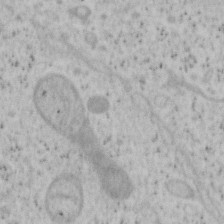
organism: Human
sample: HeLa cells